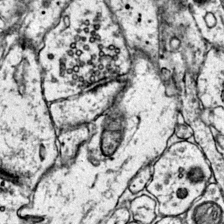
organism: Mouse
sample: Primary visual cortex